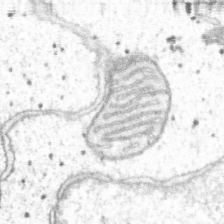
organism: Human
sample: HeLa cells